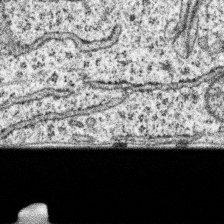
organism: Human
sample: HeLa cells